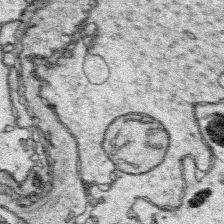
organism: Platynereis dumerilii